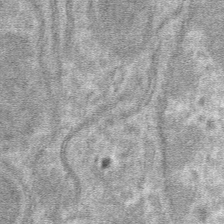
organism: Mouse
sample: Mouse hepatocytes